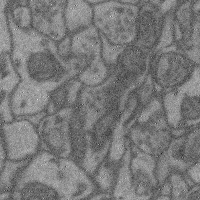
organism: Mouse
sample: Cerebral cortex